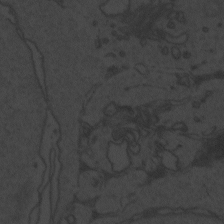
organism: Zebrafish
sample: Macrophage infected with Toxoplasma gondii